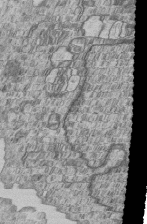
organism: Human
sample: MDA-MB-231 cells